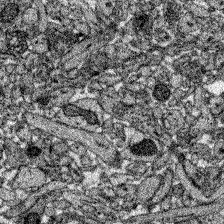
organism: Zebrafish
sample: Larval olfactory bulb